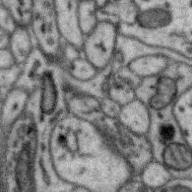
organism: Zebra finch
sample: Brain